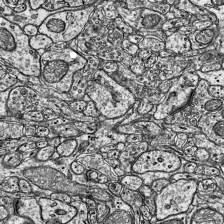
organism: Mouse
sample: Visual Cortex